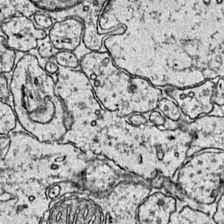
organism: Mouse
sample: Primary visual cortex